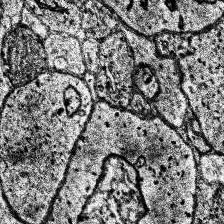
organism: Human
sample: Temporal Lobe